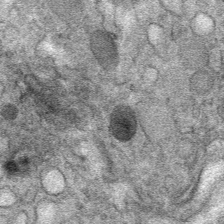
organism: Mouse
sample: Mouse Salivary gland